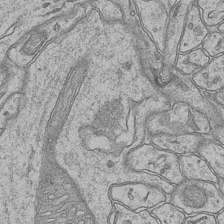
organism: Mouse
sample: CA1 Hippocampus